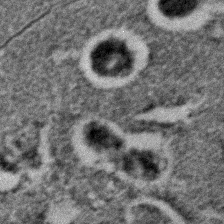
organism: C. elegans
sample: C. elegans embryo